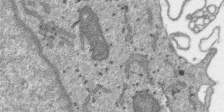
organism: Human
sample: Lung epithelial cells infected with SARS-CoV-2